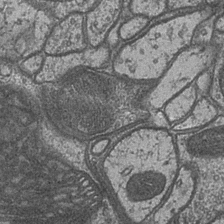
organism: Drosophila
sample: Optic medulla